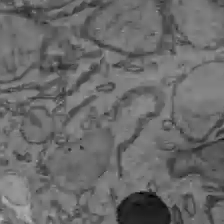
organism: C57BL Mouse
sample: Liver